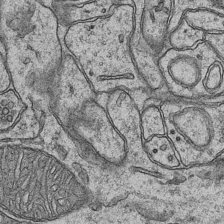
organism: Mouse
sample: CA1 Hippocampus